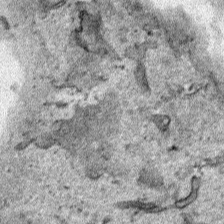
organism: Human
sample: Mitochondria in HCT116 cells